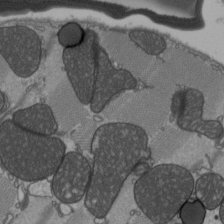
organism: C57BL Mouse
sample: Heart